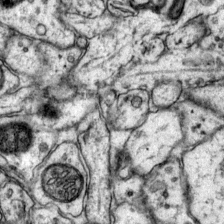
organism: Mouse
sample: Primary visual cortex